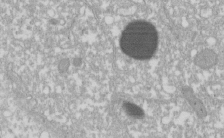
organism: Xenopus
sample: Cilia; centrioles in frog embryo cells